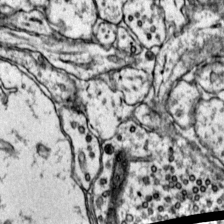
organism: Mouse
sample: Primary visual cortex